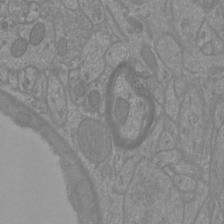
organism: Mouse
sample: Cortical neurons